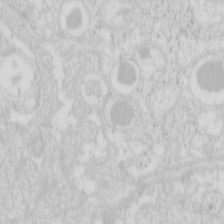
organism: Mouse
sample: Pancreas